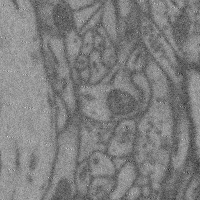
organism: Mouse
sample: Cerebral cortex